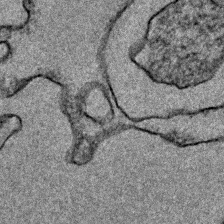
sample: Trachea